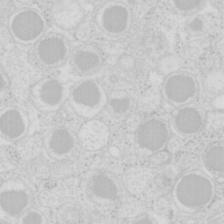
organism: Mouse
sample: Pancreas